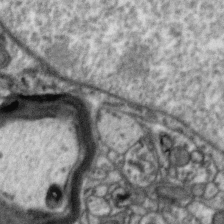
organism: Zebra finch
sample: Brain